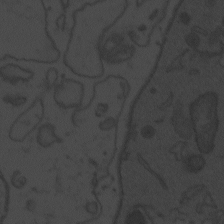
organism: Zebrafish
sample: Macrophage infected with Toxoplasma gondii